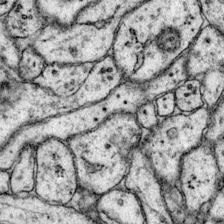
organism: Mouse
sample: Primary visual cortex